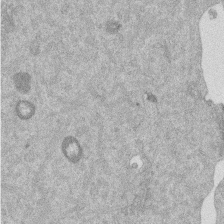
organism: Mouse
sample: Dividing mouse embryo 1 cell stage